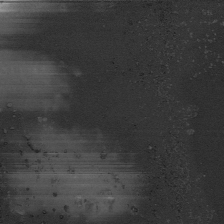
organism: Human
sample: Mitochondria in HCT116 cells